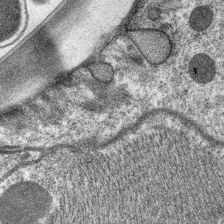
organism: C. elegans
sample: Pharynx